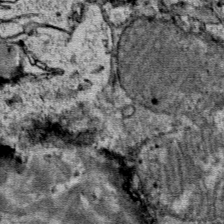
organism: Mouse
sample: Mouse Salivary gland